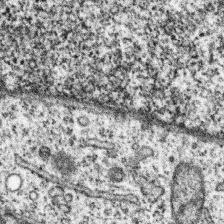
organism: Human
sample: HeLa cells